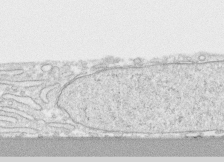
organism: Human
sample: CRL-1474